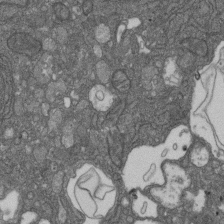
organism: Drosophila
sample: Nephrocyte